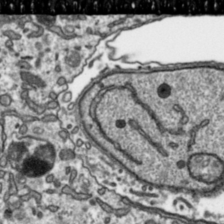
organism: Toxoplasma gondii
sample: Parasites in a vacuole inside a host cell